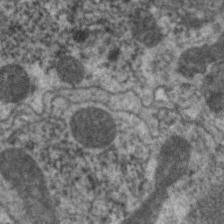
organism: C. elegans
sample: Pharynx